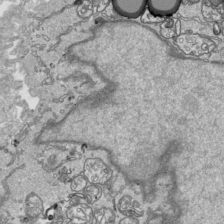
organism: Human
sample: Mitochondria in HCT116 cells